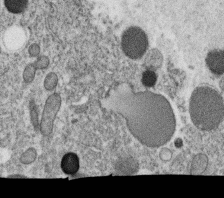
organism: C. elegans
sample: C. elegans oocyte; sperm cells